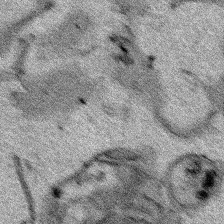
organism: Human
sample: Mitochondria in HCT116 cells